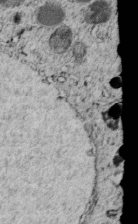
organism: C. elegans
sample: C. elegans embryo early stage